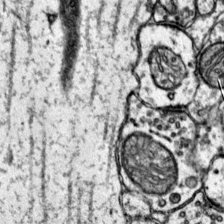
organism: Mouse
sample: Primary visual cortex